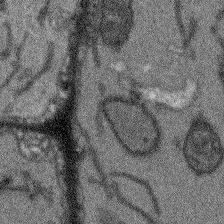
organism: Arabidopsis thaliana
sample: Root tip